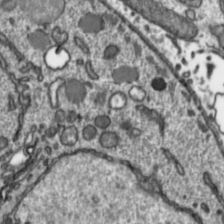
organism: Toxoplasma gondii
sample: Parasites in a vacuole inside a host cell